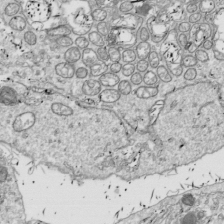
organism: Drosophila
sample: Cell division; meiosis; drosophila spermatocytes